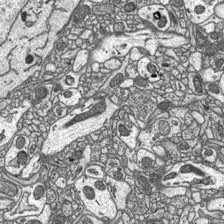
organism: C57BL Mouse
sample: Optic nerve head